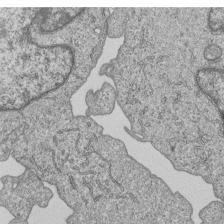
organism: Human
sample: MDA-MB-231 cells